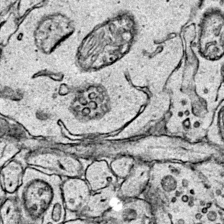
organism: Mouse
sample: Primary visual cortex